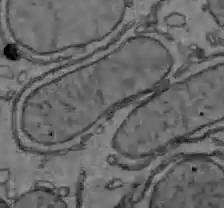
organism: C57BL Mouse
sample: Liver